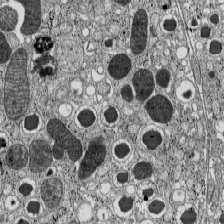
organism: C57BL Mouse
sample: Pancreatic islet